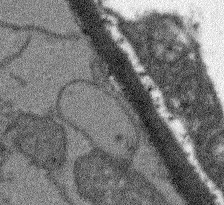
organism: Arabidopsis thaliana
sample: Root tip